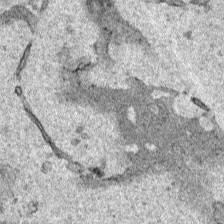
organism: Human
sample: Mitochondria in HCT116 cells